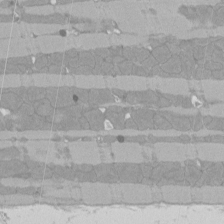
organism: Rat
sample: Left ventricle